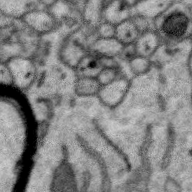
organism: Zebra finch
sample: Brain